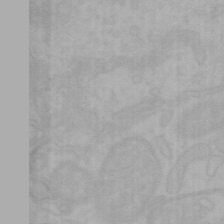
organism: Mouse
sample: Choroid plexus